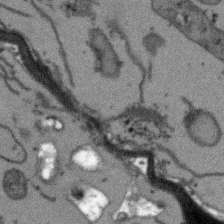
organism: Arabidopsis thaliana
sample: Root tip